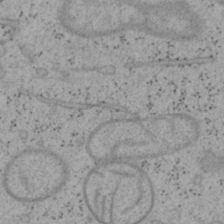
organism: Human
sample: HeLa cells